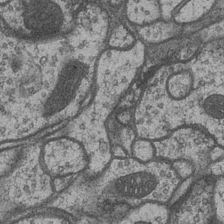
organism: Drosophila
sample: Optic medulla